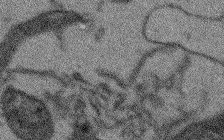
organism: Arabidopsis thaliana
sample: Root tip